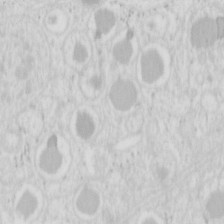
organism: Mouse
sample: Pancreas